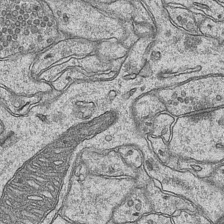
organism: Mouse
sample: CA1 Hippocampus